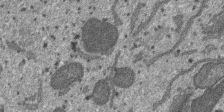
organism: Human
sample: Lung epithelial cells infected with SARS-CoV-2